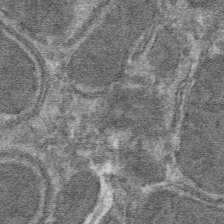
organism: Mouse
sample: Mouse hepatocytes